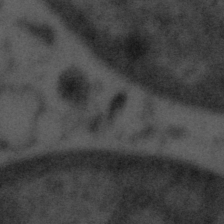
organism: Tuwongella immobilis